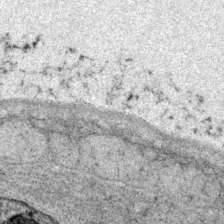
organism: P. pacificus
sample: Pharynx